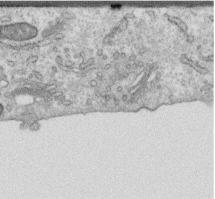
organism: Human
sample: Centriole in RPE cells